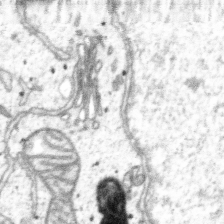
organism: Human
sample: HeLa cells